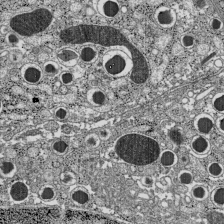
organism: C57BL Mouse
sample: Pancreatic islet